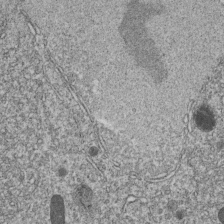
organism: C. elegans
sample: C. elegans embryo early stage